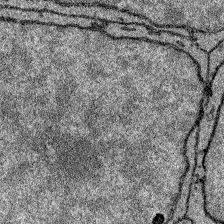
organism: Zebrafish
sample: Larval olfactory bulb